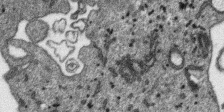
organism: Human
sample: Lung epithelial cells infected with SARS-CoV-2